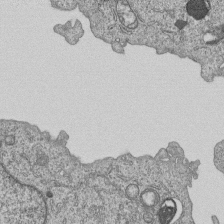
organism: Human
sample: MDA-MB-231 cells